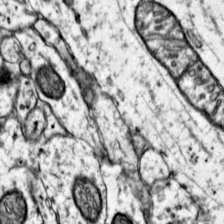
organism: Mouse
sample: Primary visual cortex